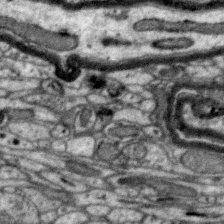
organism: Zebra finch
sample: Brain